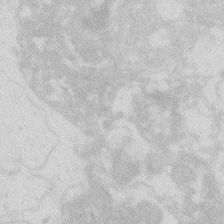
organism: Zebrafish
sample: Macrophage